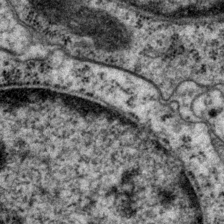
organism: P. pacificus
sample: Pharynx